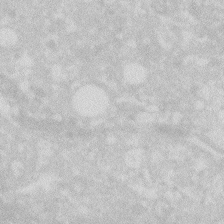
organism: Zebrafish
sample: Macrophage